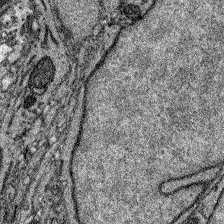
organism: Zebrafish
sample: Larval olfactory bulb